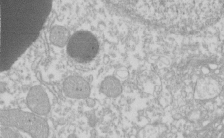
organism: Xenopus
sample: Cilia; centrioles in frog embryo cells